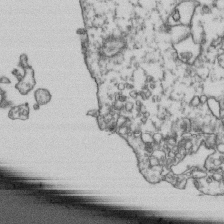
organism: Human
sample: Activated Jurkat CD4+ T cells